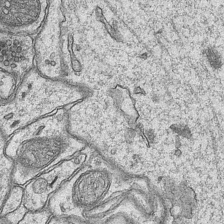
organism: Mouse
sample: CA1 Hippocampus